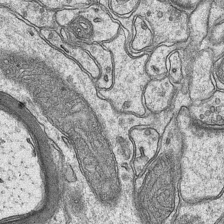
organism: Mouse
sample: CA1 Hippocampus